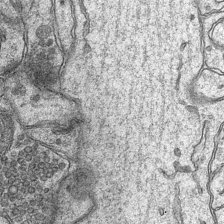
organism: Mouse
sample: CA1 Hippocampus